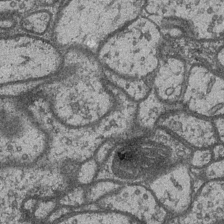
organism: Drosophila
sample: Optic medulla